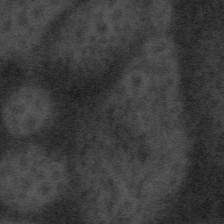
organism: Tuwongella immobilis